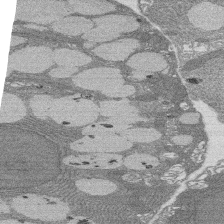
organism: Rat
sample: Salivary granule